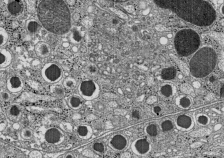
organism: C57BL Mouse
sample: Pancreatic islet